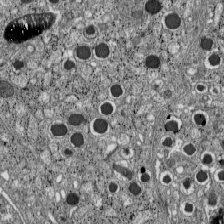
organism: C57BL Mouse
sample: Pancreatic islet